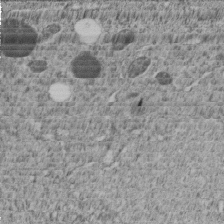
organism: C. elegans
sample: C. elegans embryo early stage